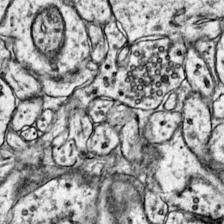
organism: Mouse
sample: Primary visual cortex